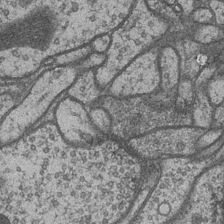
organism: Drosophila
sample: Optic medulla